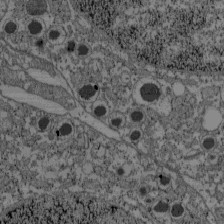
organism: C57BL Mouse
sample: Pancreatic islet